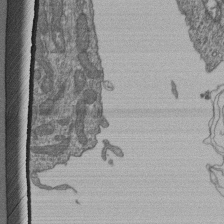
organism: Human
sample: Retinal organoid Rod and Cone cells